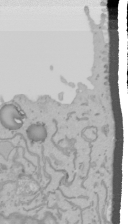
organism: Mouse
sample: Cancer cell death in ED-1 cells